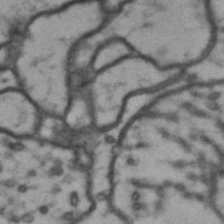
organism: Drosophila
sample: Brain